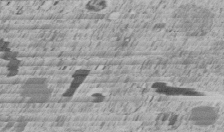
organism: C. elegans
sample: C. elegans embryo early stage